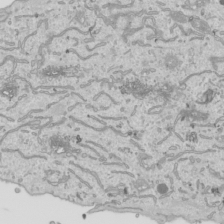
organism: Human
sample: Mitochondria in HCT116 cells